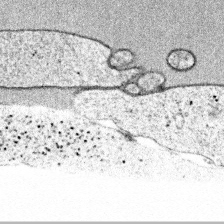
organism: Human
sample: HeLa cells